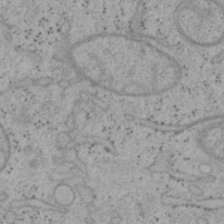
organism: Human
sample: HeLa cells